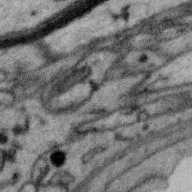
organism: Zebra finch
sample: Brain